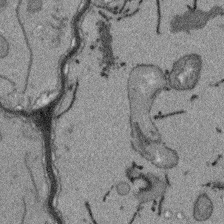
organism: Arabidopsis thaliana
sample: Root tip